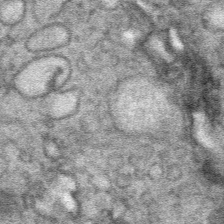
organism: Mouse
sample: Mouse Salivary gland